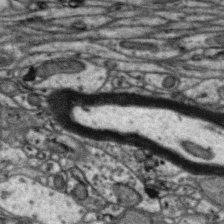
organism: Zebra finch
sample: Brain